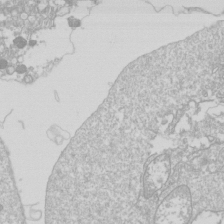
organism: Drosophila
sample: Cell division; meiosis; drosophila spermatocytes